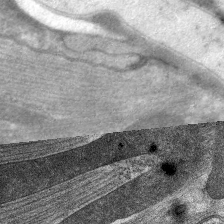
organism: C. elegans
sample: Pharynx